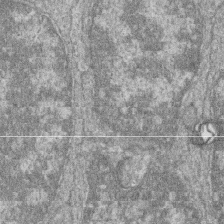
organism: Zebrafish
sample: Cilia; retinal pigment epithelium